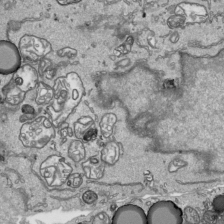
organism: Human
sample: Mitochondria in HCT116 cells